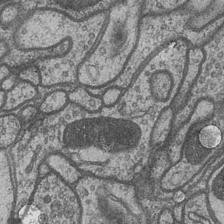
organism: Drosophila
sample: Optic medulla